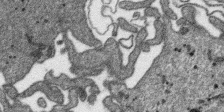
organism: Human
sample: Lung epithelial cells infected with SARS-CoV-2